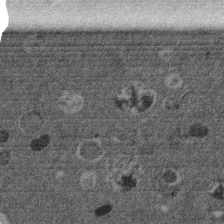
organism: Mouse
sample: Dividing mouse embryo 1 cell stage